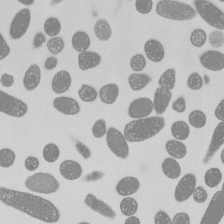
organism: E. coli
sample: Bacterial nucleoid